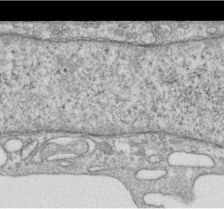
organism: Human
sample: Centriole in RPE cells